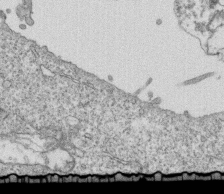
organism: Human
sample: HeLa cell HIV synapse